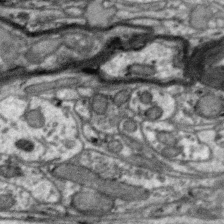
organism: Zebra finch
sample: Brain